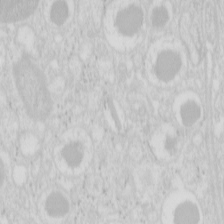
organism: Mouse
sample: Pancreas